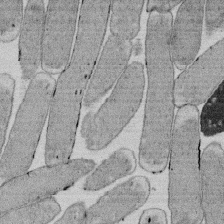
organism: E. coli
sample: Bacterial nucleoid